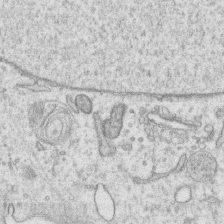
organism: Human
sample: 1205lu cells